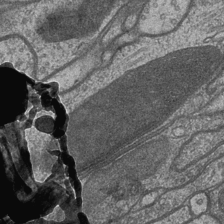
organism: Drosophila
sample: Optic medulla